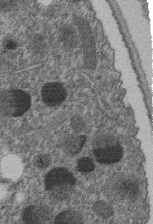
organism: C. elegans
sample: C. elegans embryo early stage